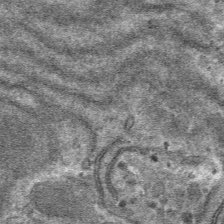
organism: Mouse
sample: Mouse hepatocytes